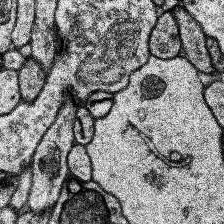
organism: Human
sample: Temporal Lobe